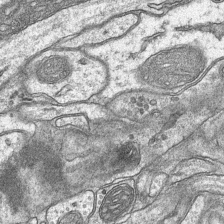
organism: Mouse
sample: CA1 Hippocampus